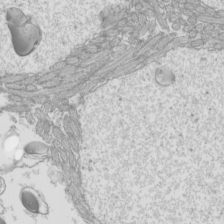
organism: Mouse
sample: Cilia; mouse epididymis